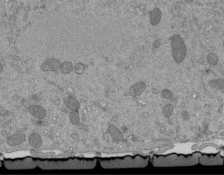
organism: Mouse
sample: ED-1 cell nuclei; centrioles